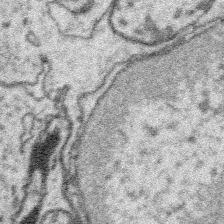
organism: Platynereis dumerilii